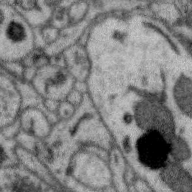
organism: Zebra finch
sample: Brain